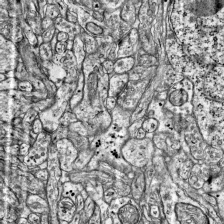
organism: Mouse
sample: Visual Cortex